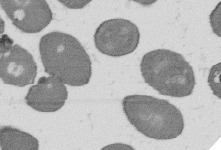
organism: B. subtilis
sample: Bacterial spore